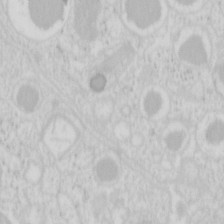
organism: Mouse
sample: Pancreas